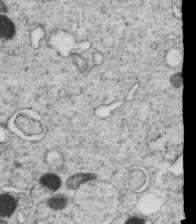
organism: C. elegans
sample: C. elegans oocyte; sperm cells